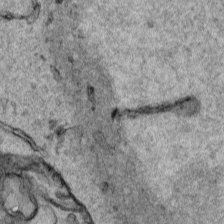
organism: Human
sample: Mitochondria in HCT116 cells